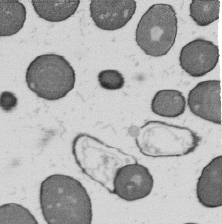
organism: B. subtilis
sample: Bacterial spore